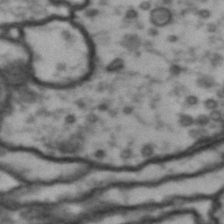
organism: Drosophila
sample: Brain